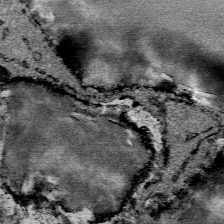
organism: Mouse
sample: Mouse Salivary gland